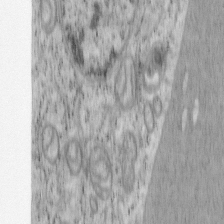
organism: Human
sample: HeLa cells